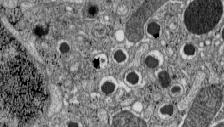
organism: C57BL Mouse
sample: Pancreatic islet